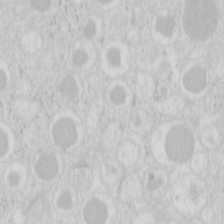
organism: Mouse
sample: Pancreas